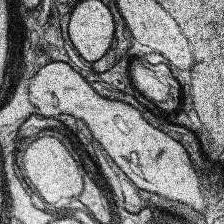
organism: Human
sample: Temporal Lobe